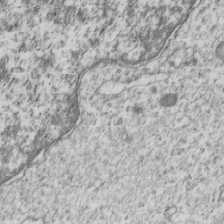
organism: Human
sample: MDA-MB-231 cells